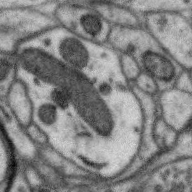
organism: Zebra finch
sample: Brain